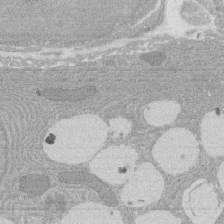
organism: Rat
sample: Salivary granule